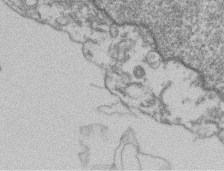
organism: Mouse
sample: T cell stromal cell synapse